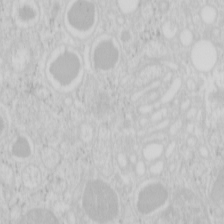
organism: Mouse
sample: Pancreas